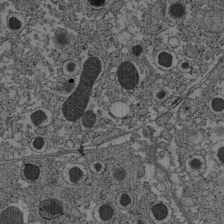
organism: C57BL Mouse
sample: Pancreatic islet